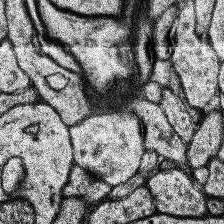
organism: Human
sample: Temporal Lobe